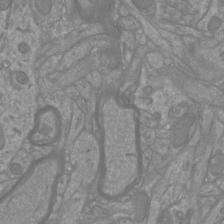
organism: Mouse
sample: Cortical neurons